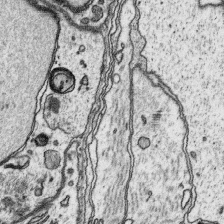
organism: Platynereis dumerilii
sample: Parapodia